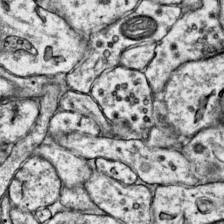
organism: Mouse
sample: Primary visual cortex